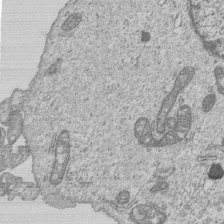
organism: Human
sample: MDA-MB-231 cells